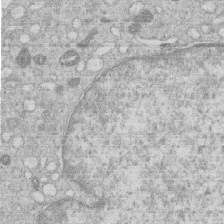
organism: Human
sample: Macrophage cells